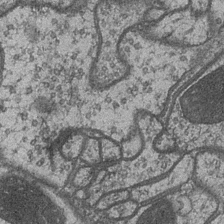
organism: Drosophila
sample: Optic medulla